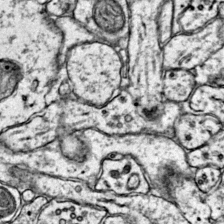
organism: Mouse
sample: Primary visual cortex